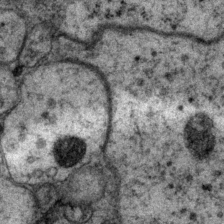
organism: P. pacificus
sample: Pharynx